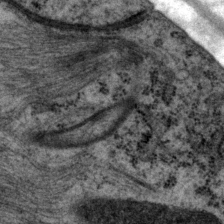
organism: P. pacificus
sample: Pharynx